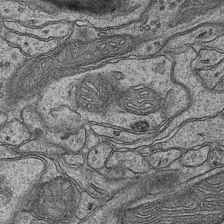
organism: Mouse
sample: CA1 Hippocampus